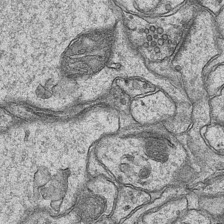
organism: Mouse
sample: CA1 Hippocampus